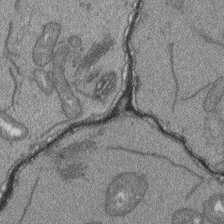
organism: Arabidopsis thaliana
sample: Root tip